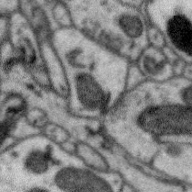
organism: Zebra finch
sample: Brain